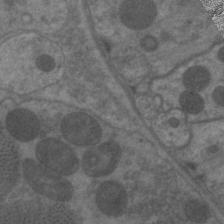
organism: C. elegans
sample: Pharynx